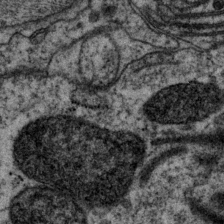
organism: P. pacificus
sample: Pharynx